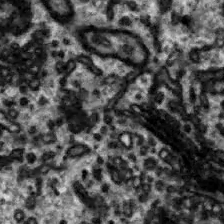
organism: Human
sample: HeLa cells